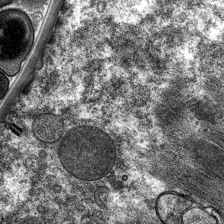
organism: C. elegans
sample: Pharynx